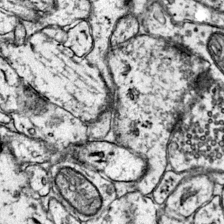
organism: Mouse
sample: Primary visual cortex